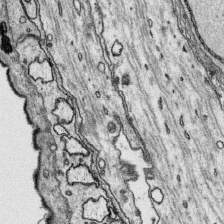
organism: Platynereis dumerilii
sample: Parapodia